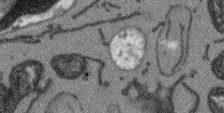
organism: Arabidopsis thaliana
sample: Root tip